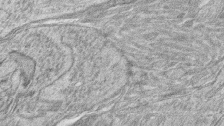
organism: Zebrafish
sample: synaptic ribbons in rod cells and cone cells